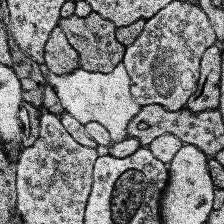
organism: Human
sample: Temporal Lobe